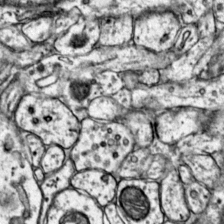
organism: Mouse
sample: Primary visual cortex